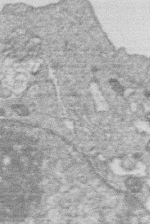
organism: Human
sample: Macrophage cells